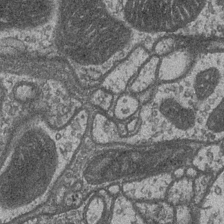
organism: Drosophila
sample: Optic medulla